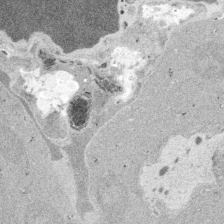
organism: Embia sp.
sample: Silk gland